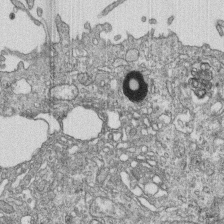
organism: Human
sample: HeLa cell HIV synapse